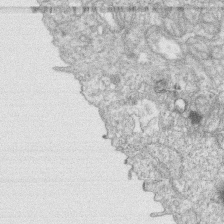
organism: Human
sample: HeLa cell HIV synapse